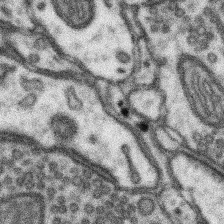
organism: Mouse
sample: Somatosensory cortex neuropil